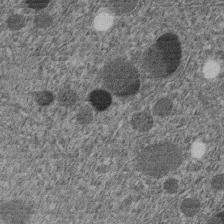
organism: C. elegans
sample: C. elegans embryo early stage